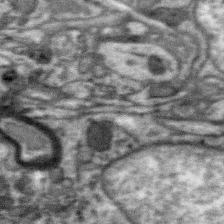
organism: Zebra finch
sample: Brain